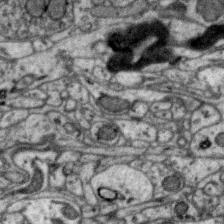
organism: Zebra finch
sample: Brain